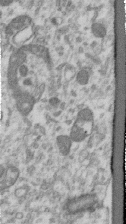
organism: Human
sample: Centriole in RPE cells